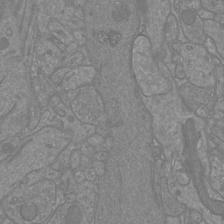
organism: Mouse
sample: Cortical neurons